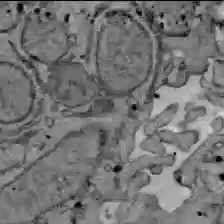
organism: C57BL Mouse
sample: Liver